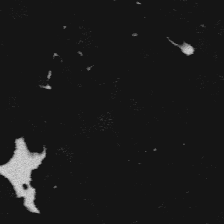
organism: Platynereis dumerilii